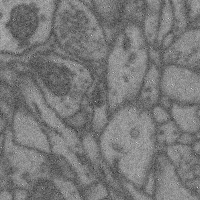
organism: Mouse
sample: Cerebral cortex